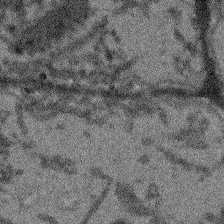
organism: Arabidopsis thaliana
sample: Root tip